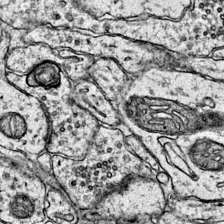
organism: Mouse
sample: Primary visual cortex